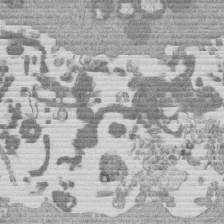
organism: Mouse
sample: Dividing mouse embryo 1 cell stage